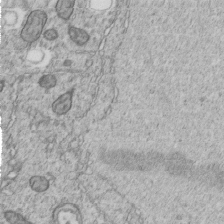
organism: C. elegans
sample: C. elegans embryo early stage